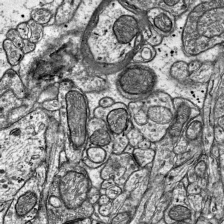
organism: Mouse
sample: Visual Cortex